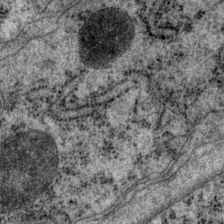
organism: P. pacificus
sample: Pharynx